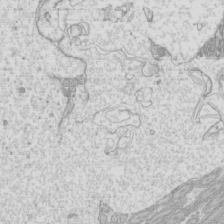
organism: Mouse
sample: Cilia; mouse epididymis